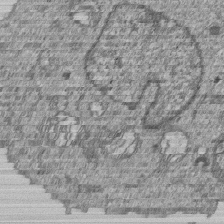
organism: Human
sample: MDA-MB-231 cells